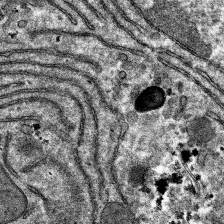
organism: Mouse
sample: Mouse hepatocytes